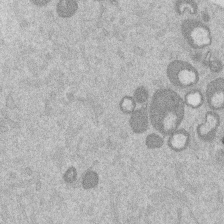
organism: Mouse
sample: Dividing mouse embryo 1 cell stage